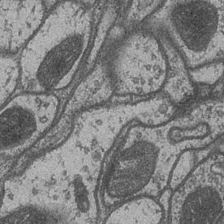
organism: Drosophila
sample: Optic medulla